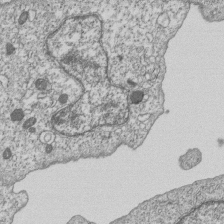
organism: Human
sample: MDA-MB-231 cells